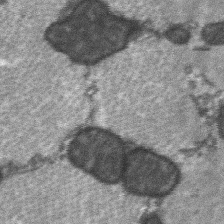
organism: C57BL Mouse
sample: Soleus